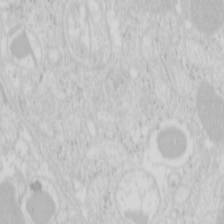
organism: Mouse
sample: Pancreas